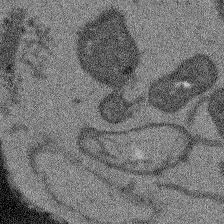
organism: Arabidopsis thaliana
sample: Root tip